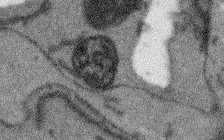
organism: Arabidopsis thaliana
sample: Root tip